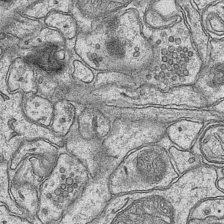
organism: Mouse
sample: CA1 Hippocampus